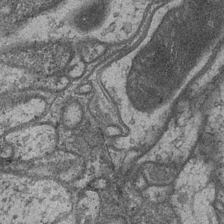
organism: Drosophila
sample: Optic medulla